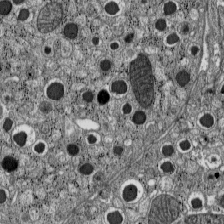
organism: C57BL Mouse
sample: Pancreatic islet